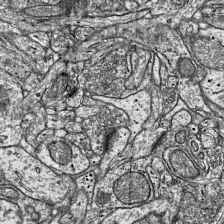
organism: Mouse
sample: Visual Cortex